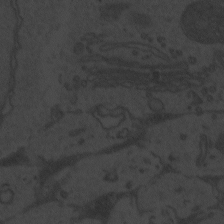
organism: Zebrafish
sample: Macrophage infected with Toxoplasma gondii